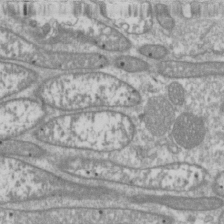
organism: Drosophila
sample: Cell division; meiosis; drosophila spermatocytes